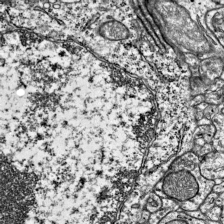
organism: Mouse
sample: Visual Cortex